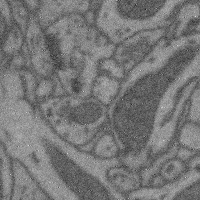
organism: Mouse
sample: Cerebral cortex